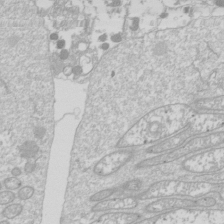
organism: Drosophila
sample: Cell division; meiosis; drosophila spermatocytes